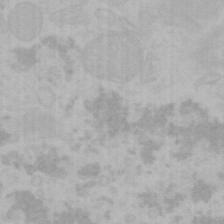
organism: Mouse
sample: Choroid plexus